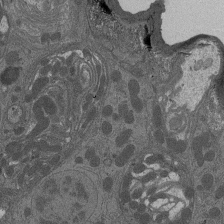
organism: Drosophila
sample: Antenna